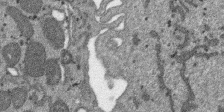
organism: Human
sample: Lung epithelial cells infected with SARS-CoV-2